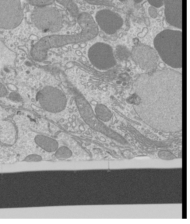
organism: Mouse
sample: Cilia; mouse epididymis